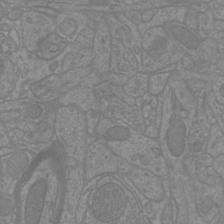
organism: Mouse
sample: Cortical neurons